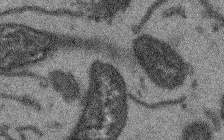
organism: Arabidopsis thaliana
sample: Root tip